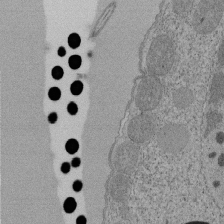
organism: Tetrahymena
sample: Cilia in tetrahymena